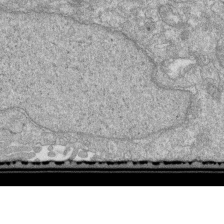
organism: Human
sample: HeLa cell HIV synapse